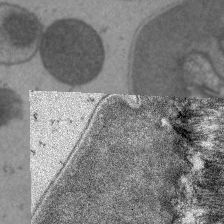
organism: C. elegans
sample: Pharynx